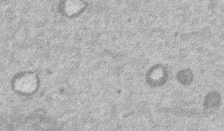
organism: Mouse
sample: Dividing mouse embryo 1 cell stage